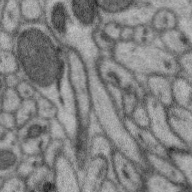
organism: Zebra finch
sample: Brain